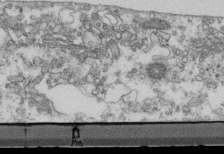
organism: Mouse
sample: Cilia; retinal pigment epithelium